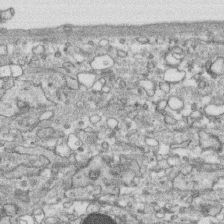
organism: Human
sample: CRL-1474